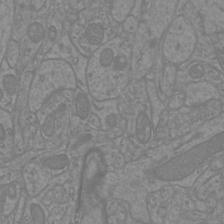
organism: Mouse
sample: Cortical neurons